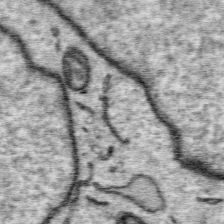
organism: Human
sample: HeLa cells